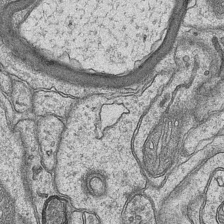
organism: Mouse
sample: CA1 Hippocampus